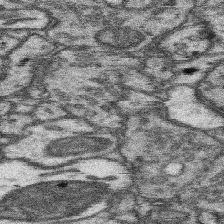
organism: Mouse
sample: Somatosensory cortex neuropil